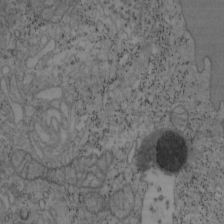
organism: Mouse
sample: OT-I killer T cells with ID8 ovarian cancer cells